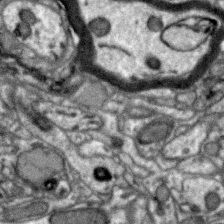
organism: Zebra finch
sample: Brain